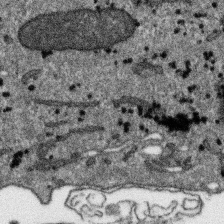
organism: Human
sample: Lung epithelial cells infected with SARS-CoV-2